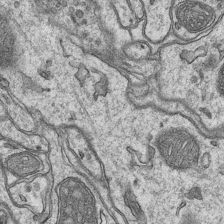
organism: Mouse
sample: CA1 Hippocampus